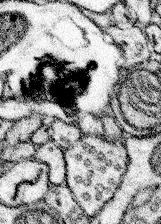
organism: Mouse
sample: Somatosensory cortex neuropil